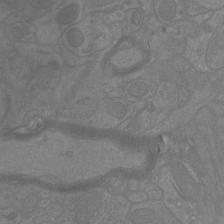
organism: Mouse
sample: Cortical neurons